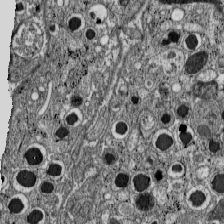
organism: C57BL Mouse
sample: Pancreatic islet